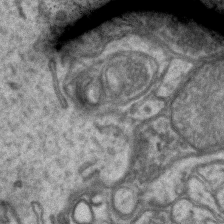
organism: Mouse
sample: CA1 Hippocampus